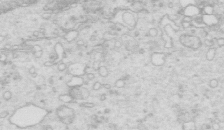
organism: Mouse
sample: Multiciliated cells